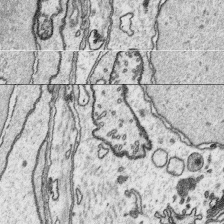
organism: Platynereis dumerilii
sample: Parapodia